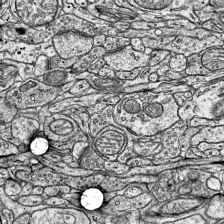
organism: Mouse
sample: Visual Cortex